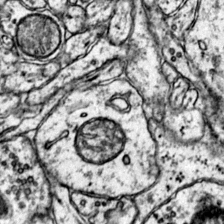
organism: Mouse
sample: Primary visual cortex